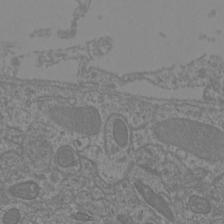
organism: Mouse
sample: Cortical neurons